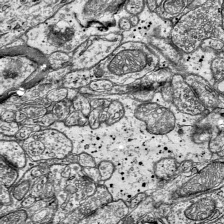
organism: Mouse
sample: Visual Cortex